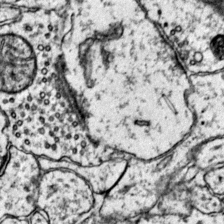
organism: Mouse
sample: Primary visual cortex